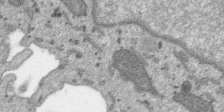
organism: Human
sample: Lung epithelial cells infected with SARS-CoV-2